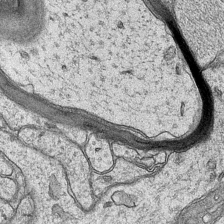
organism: Mouse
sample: CA1 Hippocampus